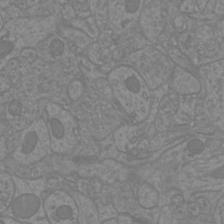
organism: Mouse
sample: Cortical neurons